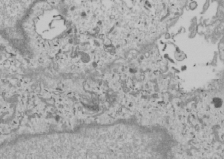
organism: Human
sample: Mitochondria in U2OS cells